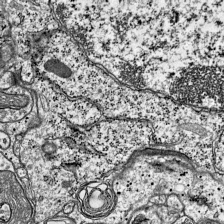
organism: Mouse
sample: Visual Cortex